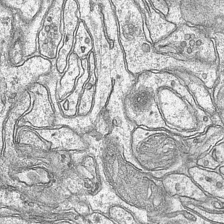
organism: Mouse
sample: CA1 Hippocampus